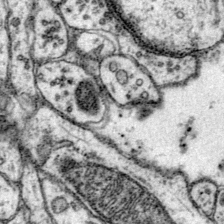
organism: Mouse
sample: Primary visual cortex